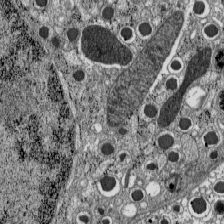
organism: C57BL Mouse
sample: Pancreatic islet